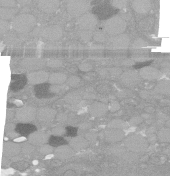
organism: C. elegans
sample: C. elegans oocyte; sperm cells